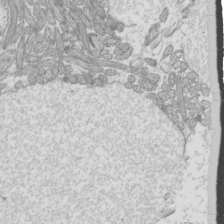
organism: Mouse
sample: Cilia; mouse epididymis